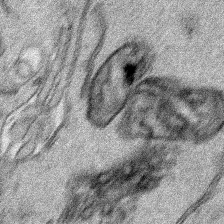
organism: Human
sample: Mitochondria in HCT116 cells